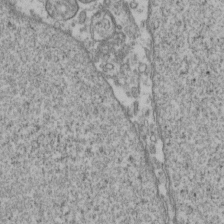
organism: Human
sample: Activated Jurkat CD4+ T cells